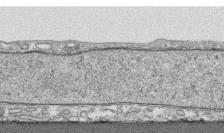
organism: Human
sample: CRL-1474